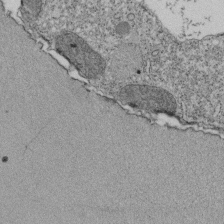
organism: Tetrahymena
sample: Cilia in tetrahymena